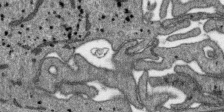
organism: Human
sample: Lung epithelial cells, uninfected (mock) control